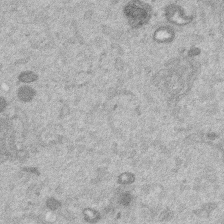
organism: Mouse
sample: Dividing mouse embryo 1 cell stage